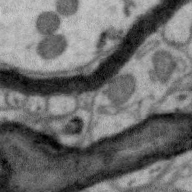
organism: Zebra finch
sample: Brain